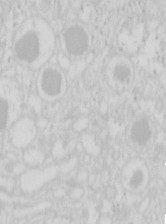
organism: Mouse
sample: Pancreas